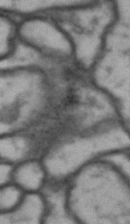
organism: Drosophila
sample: Brain